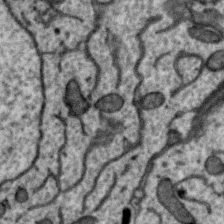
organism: Zebra finch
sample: Brain